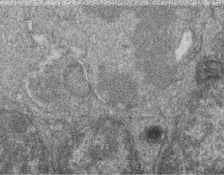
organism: Zebrafish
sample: Cilia; retinal pigment epithelium